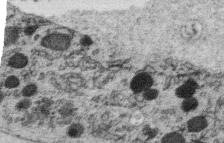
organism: C. elegans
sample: C. elegans oocyte; sperm cells